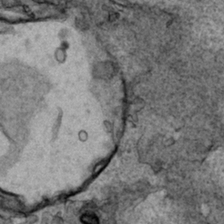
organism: Human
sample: Mitochondria in HCT116 cells